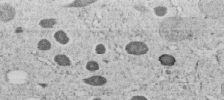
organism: C. elegans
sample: C. elegans embryo early stage